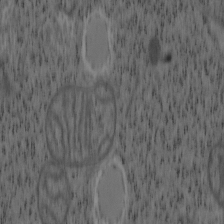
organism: Human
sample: HeLa cells